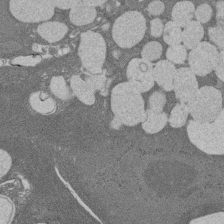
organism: Rat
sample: Salivary granule